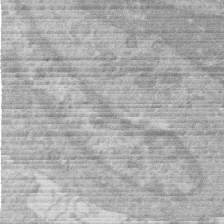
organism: Human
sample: Macrophage cells